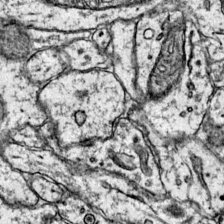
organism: Mouse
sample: Primary visual cortex